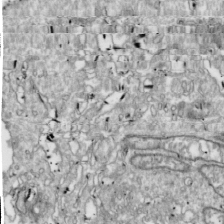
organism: Drosophila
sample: Cell division; meiosis; drosophila spermatocytes